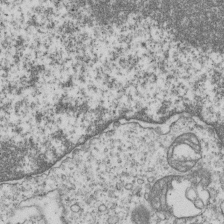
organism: Human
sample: MDA-MB-231 cells